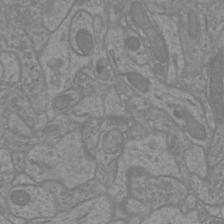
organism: Mouse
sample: Cortical neurons